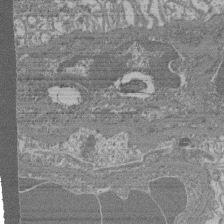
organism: Mouse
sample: Glomerulus